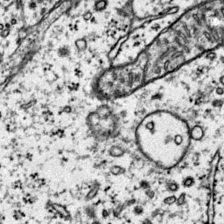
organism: Mouse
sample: Primary visual cortex